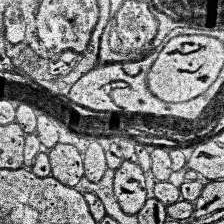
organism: Human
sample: Temporal Lobe